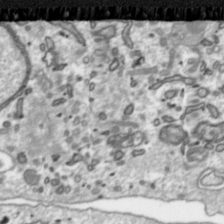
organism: Toxoplasma gondii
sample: Parasites in a vacuole inside a host cell